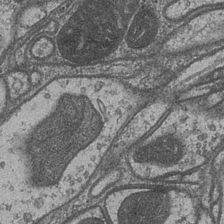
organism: Drosophila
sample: Optic medulla